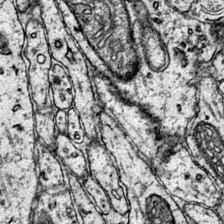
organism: Mouse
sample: Primary visual cortex